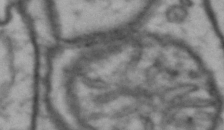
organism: Drosophila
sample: Brain